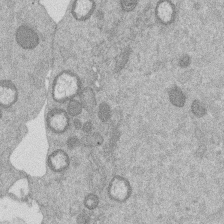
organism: Mouse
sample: Dividing mouse embryo 1 cell stage